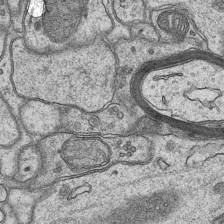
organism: Mouse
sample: CA1 Hippocampus